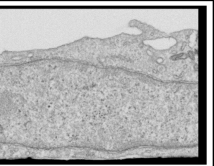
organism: Human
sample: Centriole in RPE cells